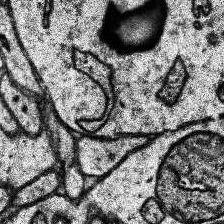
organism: Human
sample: Temporal Lobe